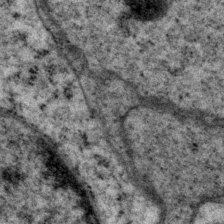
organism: P. pacificus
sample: Pharynx